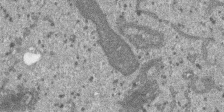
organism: Human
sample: Lung epithelial cells infected with SARS-CoV-2